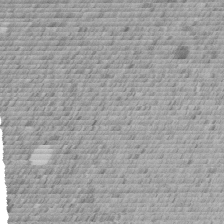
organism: C. elegans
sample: C. elegans embryo early stage